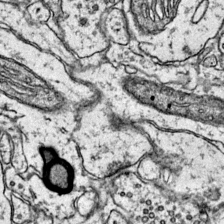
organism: Mouse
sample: Primary visual cortex